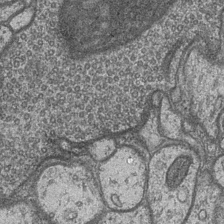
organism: Drosophila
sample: Optic medulla